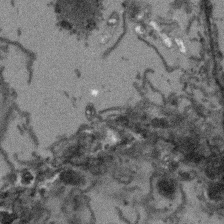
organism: Arabidopsis thaliana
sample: Root tip